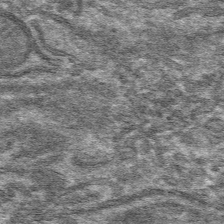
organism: Mouse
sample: Mouse hepatocytes